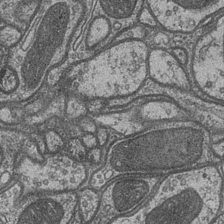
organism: Drosophila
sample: Optic medulla